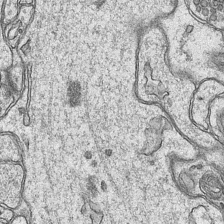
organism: Mouse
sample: CA1 Hippocampus